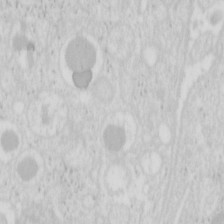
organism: Mouse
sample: Pancreas